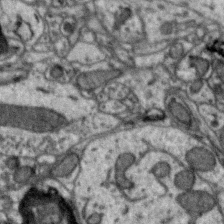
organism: Zebra finch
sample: Brain